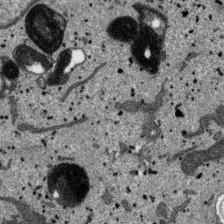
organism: Human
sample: Lung epithelial cells, uninfected (mock) control